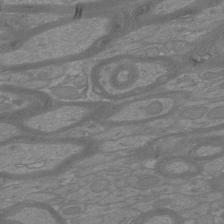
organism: Mouse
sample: Cortical neurons